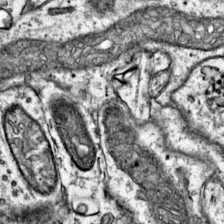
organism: Mouse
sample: Primary visual cortex